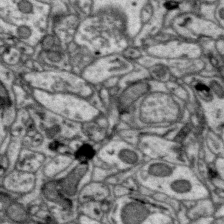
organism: Zebra finch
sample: Brain